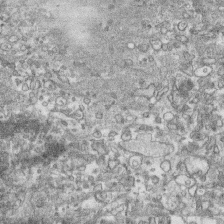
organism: Human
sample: CRL-1474